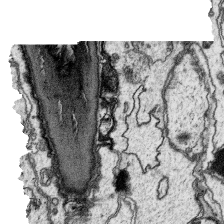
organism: Platynereis dumerilii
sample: Parapodia